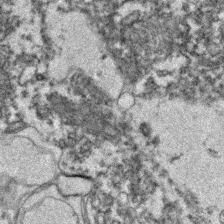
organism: Zebrafish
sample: Zebrafish embryo